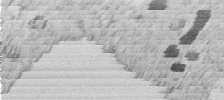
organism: C. elegans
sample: C. elegans embryo early stage